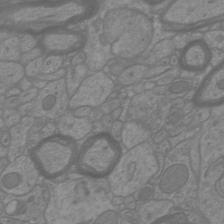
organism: Mouse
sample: Cortical neurons